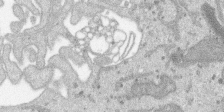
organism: Human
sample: Lung epithelial cells infected with SARS-CoV-2